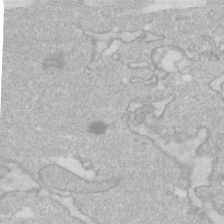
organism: Human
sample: Fibroblast cells